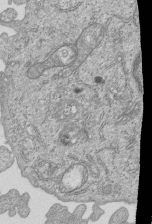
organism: Human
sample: MDA-MB-231 cells